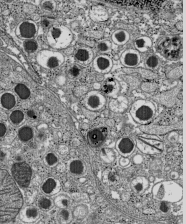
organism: C57BL Mouse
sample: Pancreatic islet